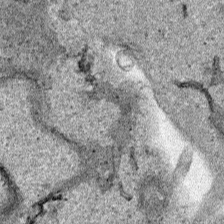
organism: Human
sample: Mitochondria in HCT116 cells